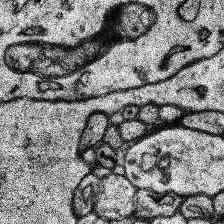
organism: Human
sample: Temporal Lobe